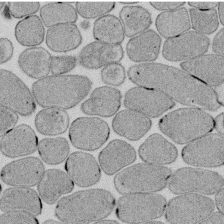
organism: E. coli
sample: Bacterial nucleoid